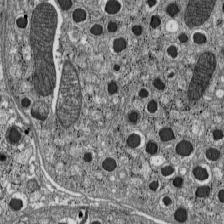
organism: C57BL Mouse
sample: Pancreatic islet